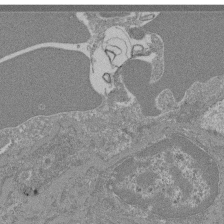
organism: Mouse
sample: Glomerulus